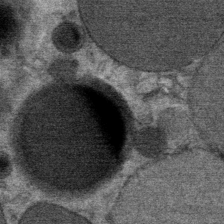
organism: Mouse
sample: Mouse Salivary gland